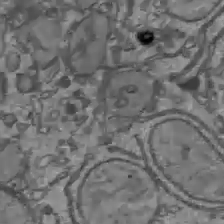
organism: C57BL Mouse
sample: Liver